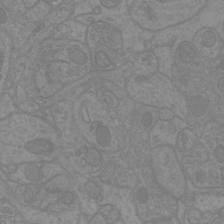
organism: Mouse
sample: Cortical neurons